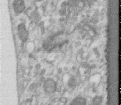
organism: Human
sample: Centriole in RPE cells